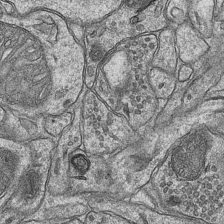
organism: Mouse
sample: CA1 Hippocampus